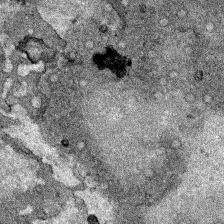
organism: Human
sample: Mitochondria in HCT116 cells